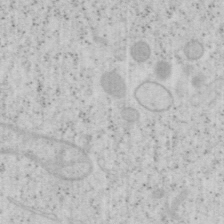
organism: Human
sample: HeLa cells